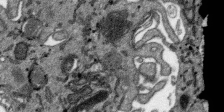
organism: Human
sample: Lung epithelial cells, uninfected (mock) control